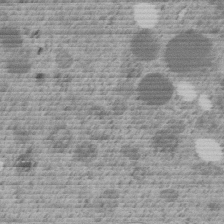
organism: C. elegans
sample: C. elegans embryo early stage